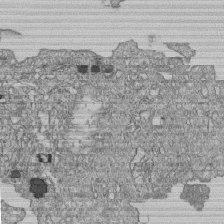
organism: Human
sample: MDA-MB-231 cells